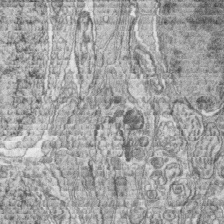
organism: Zebrafish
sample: synaptic ribbons in rod cells and cone cells